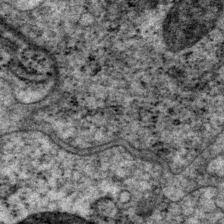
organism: P. pacificus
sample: Pharynx